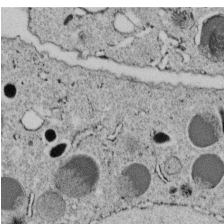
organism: C. elegans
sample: C. elegans embryo early stage